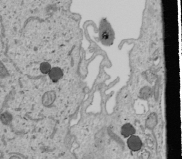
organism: Human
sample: Mitochondria in U2OS cells